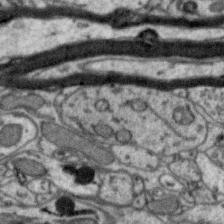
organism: Zebra finch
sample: Brain